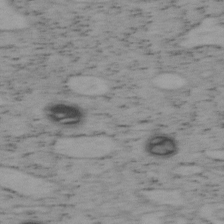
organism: Mouse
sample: OT-I killer T cells with ID8 ovarian cancer cells